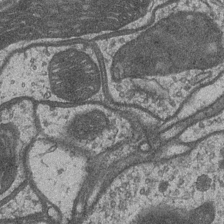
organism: Drosophila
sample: Optic medulla